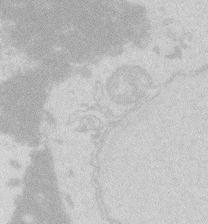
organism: Zebrafish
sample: Macrophage